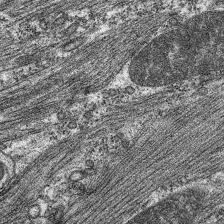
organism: C. elegans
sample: Pharynx